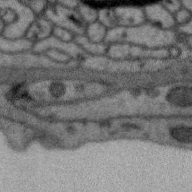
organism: Zebra finch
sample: Brain